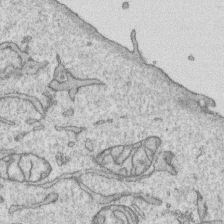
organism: Human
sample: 1205lu cells